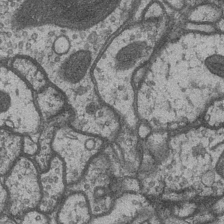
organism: Drosophila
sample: Optic medulla